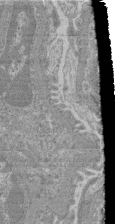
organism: Mouse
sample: Glomerulus